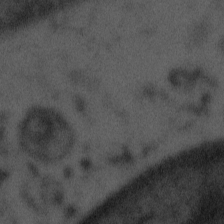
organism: Tuwongella immobilis